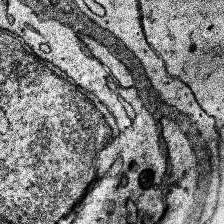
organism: Human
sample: Temporal Lobe